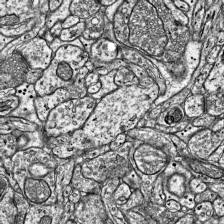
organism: Mouse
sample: Visual Cortex